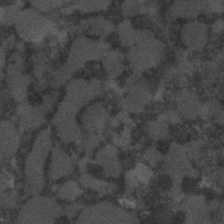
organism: C. elegans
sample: C. elegans embryo